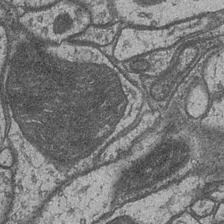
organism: Drosophila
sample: Optic medulla